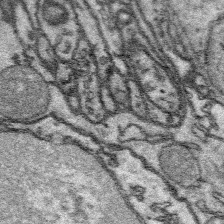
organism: Platynereis dumerilii